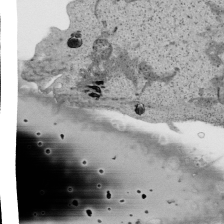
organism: Human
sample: Mitochondria in HCT116 cells